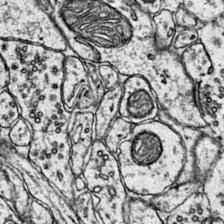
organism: Mouse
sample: Primary visual cortex